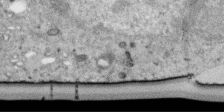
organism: Human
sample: Centriole in RPE cells